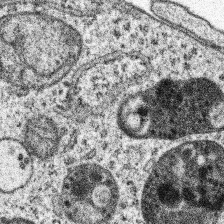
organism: Human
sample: HeLa cells